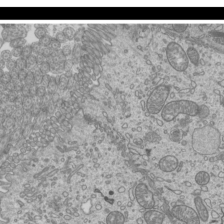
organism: Mouse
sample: Cilia; mouse epididymis